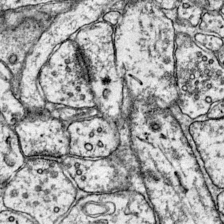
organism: Mouse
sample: Primary visual cortex